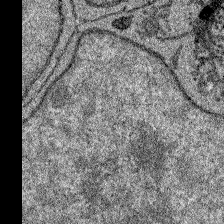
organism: Zebrafish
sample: Larval olfactory bulb